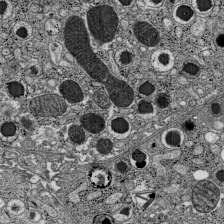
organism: C57BL Mouse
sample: Pancreatic islet